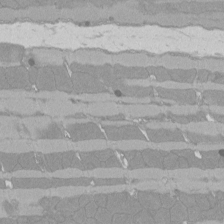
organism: Rat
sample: Left ventricle